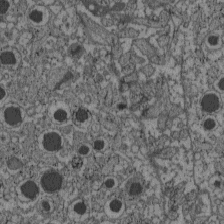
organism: C57BL Mouse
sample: Pancreatic islet